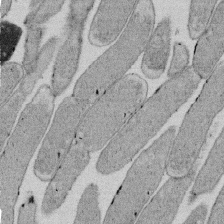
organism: E. coli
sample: Bacterial nucleoid